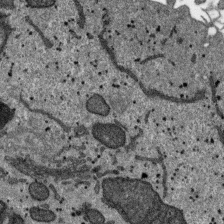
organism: Human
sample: Lung epithelial cells, uninfected (mock) control